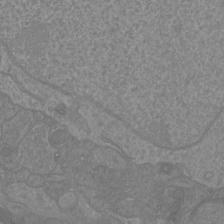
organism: Mouse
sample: Cortical neurons